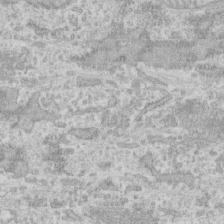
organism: Human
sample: CRL-1474